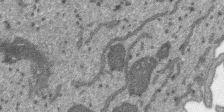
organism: Human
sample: Lung epithelial cells infected with SARS-CoV-2